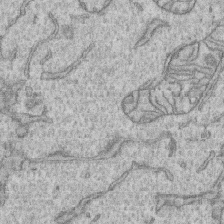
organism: Human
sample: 1205lu cells